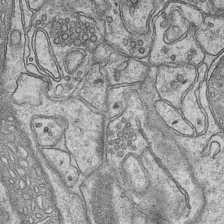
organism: Mouse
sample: CA1 Hippocampus